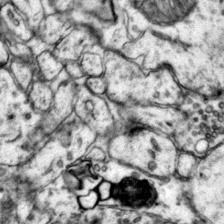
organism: Mouse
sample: Primary visual cortex